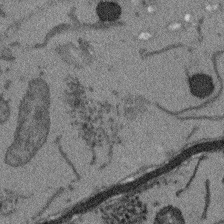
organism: Arabidopsis thaliana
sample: Root tip